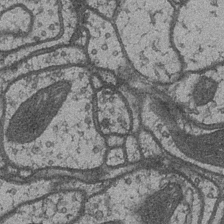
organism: Drosophila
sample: Optic medulla